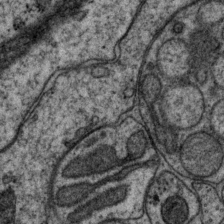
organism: P. pacificus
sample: Pharynx